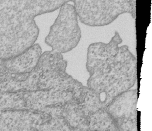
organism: Human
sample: MDA-MB-231 cells